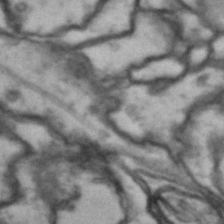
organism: Drosophila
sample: Brain